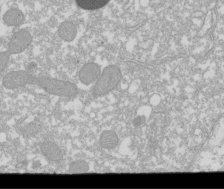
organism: Xenopus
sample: Cilia; centrioles in frog embryo cells